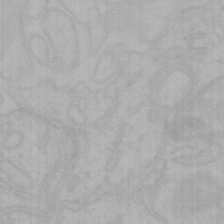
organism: Mouse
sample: Choroid plexus